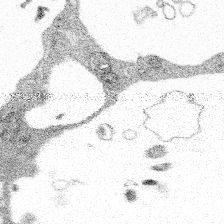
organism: Spongilla lacustris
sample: Multiple